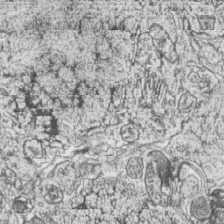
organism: Zebrafish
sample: synaptic ribbons in rod cells and cone cells